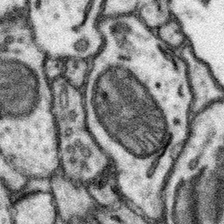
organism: Mouse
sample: Somatosensory cortex neuropil